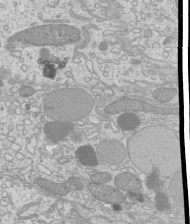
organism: Mouse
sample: Cilia; mouse epididymis